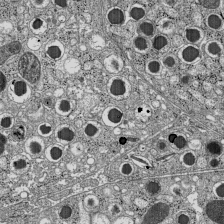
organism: C57BL Mouse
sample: Pancreatic islet